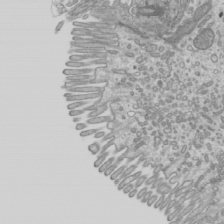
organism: Mouse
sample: Cilia; mouse epididymis